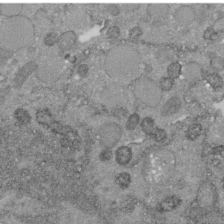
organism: C. elegans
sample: C. elegans embryo early stage